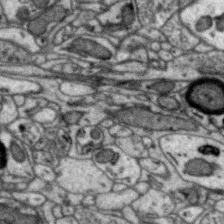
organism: Zebra finch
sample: Brain